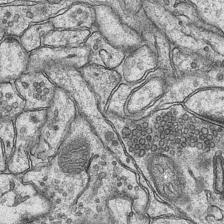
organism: Mouse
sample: CA1 Hippocampus